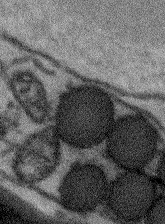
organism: Arabidopsis thaliana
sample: Root tip